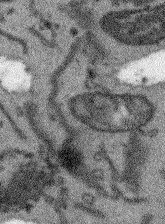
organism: Arabidopsis thaliana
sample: Root tip